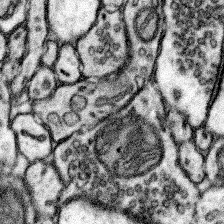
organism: Mouse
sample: Somatosensory cortex neuropil